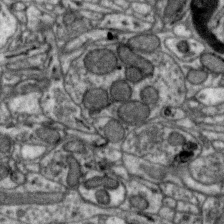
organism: Zebra finch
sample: Brain